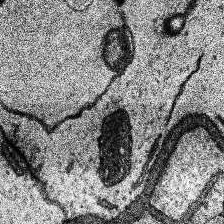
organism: Human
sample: Temporal Lobe